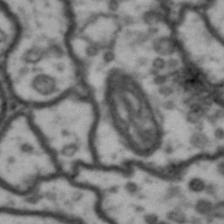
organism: Drosophila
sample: Brain